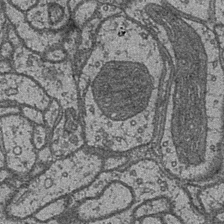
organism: Drosophila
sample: Optic medulla